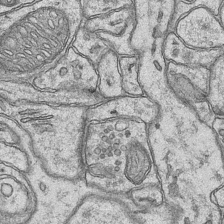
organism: Mouse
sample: CA1 Hippocampus